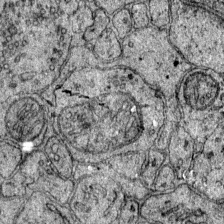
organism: Mouse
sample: Primary visual cortex